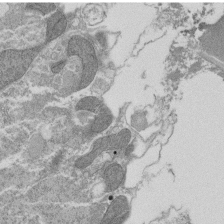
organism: Tetrahymena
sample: Cilia in tetrahymena